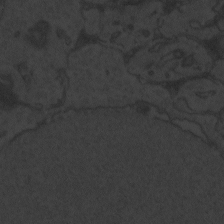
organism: Zebrafish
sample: Macrophage infected with Toxoplasma gondii